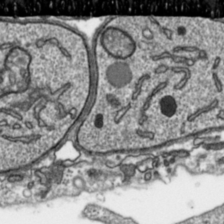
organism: Toxoplasma gondii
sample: Parasites in a vacuole inside a host cell